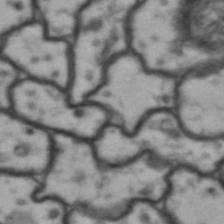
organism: Drosophila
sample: Brain